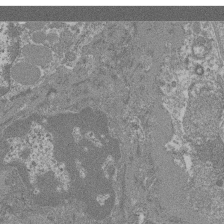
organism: Mouse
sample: Glomerulus